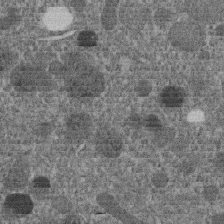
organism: C. elegans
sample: C. elegans embryo early stage